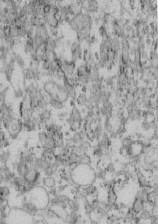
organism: Mouse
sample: Cilia; retinal pigment epithelium